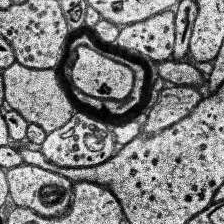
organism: Human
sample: Temporal Lobe